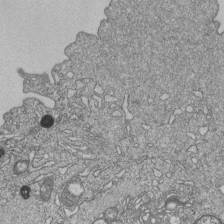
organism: Human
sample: MDA-MB-231 cells